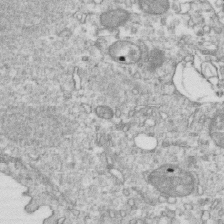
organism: Mouse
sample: Activated OT-1 CD8+ T cells